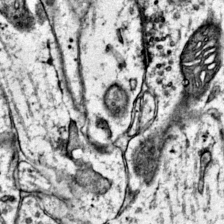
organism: Mouse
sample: Primary visual cortex